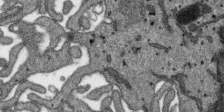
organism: Human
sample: Lung epithelial cells, uninfected (mock) control